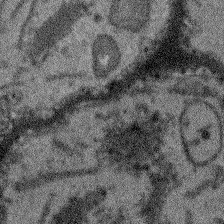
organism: Arabidopsis thaliana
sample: Root tip